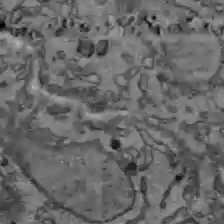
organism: C57BL Mouse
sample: Liver